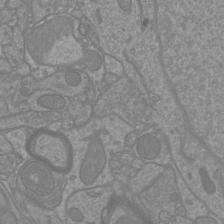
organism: Mouse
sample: Cortical neurons